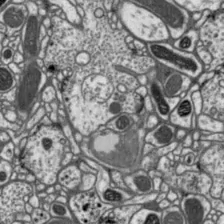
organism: Drosophila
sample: Protocerebral bridge